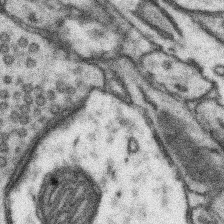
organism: Mouse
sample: Somatosensory cortex neuropil